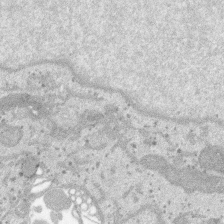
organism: Human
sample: Lung epithelial cells infected with SARS-CoV-2